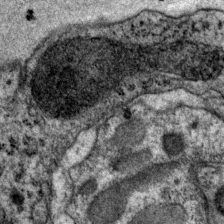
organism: P. pacificus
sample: Pharynx